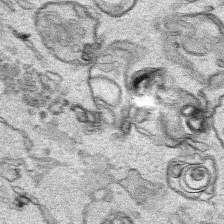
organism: Human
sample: Mitochondria in HCT116 cells